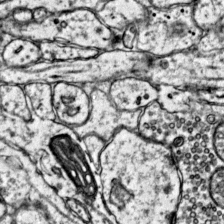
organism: Mouse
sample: Primary visual cortex